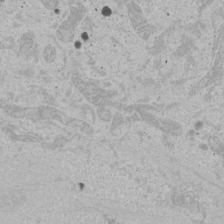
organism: Human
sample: Mitochondria in U2OS cells